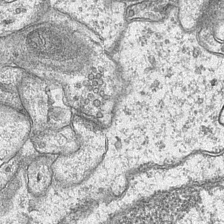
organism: Mouse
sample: CA1 Hippocampus